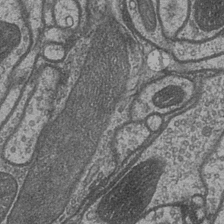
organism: Drosophila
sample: Optic medulla